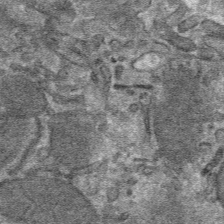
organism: Mouse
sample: Mouse hepatocytes